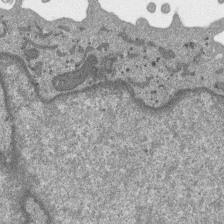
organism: Human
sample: Lung epithelial cells infected with SARS-CoV-2